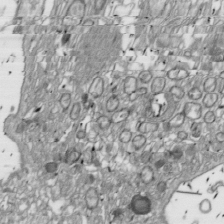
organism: Drosophila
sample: Cell division; meiosis; drosophila spermatocytes